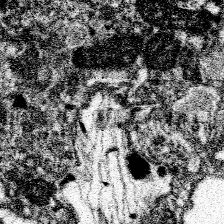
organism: Spongilla lacustris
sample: Neuroid cell